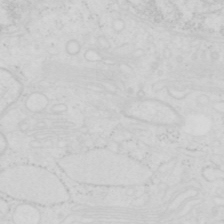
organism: Human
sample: SUM-159 cell